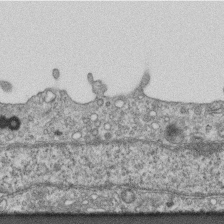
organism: Mouse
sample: Centriole in ependymal cells